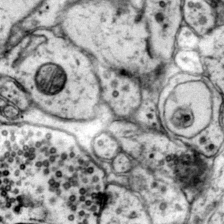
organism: Mouse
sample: Primary visual cortex